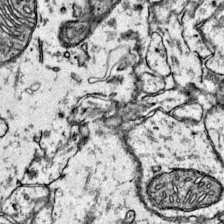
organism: Mouse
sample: Primary visual cortex